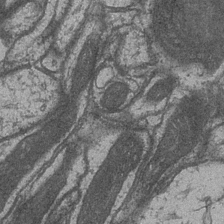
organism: Drosophila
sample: Optic medulla